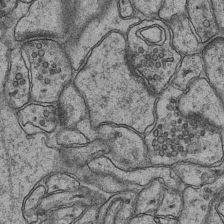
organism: Mouse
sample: CA1 Hippocampus